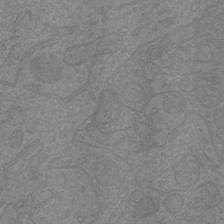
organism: Mouse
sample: Cortical neurons